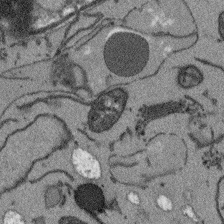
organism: Arabidopsis thaliana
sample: Root tip